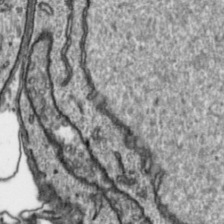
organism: Toxoplasma gondii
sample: Parasites in a vacuole inside a host cell